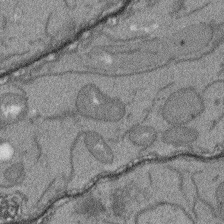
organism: Arabidopsis thaliana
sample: Root tip